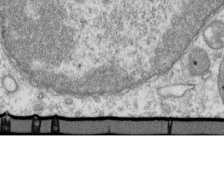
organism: Mouse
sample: Activated OT-1 CD8+ T cells